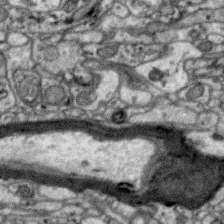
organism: Zebra finch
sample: Brain